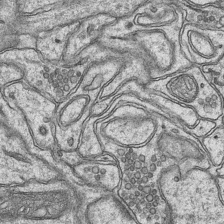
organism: Mouse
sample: CA1 Hippocampus